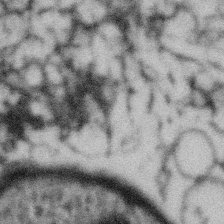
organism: Gemmata obscuriglobus